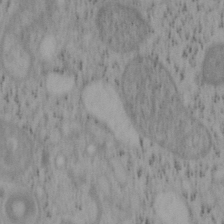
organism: Mouse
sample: OT-I killer T cells with ID8 ovarian cancer cells